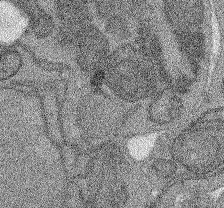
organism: Human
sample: HeLa cells